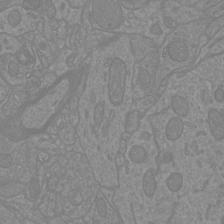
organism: Mouse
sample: Cortical neurons